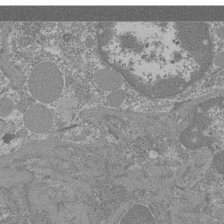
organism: Mouse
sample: Glomerulus